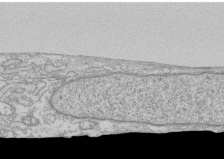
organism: Human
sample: CRL-1474